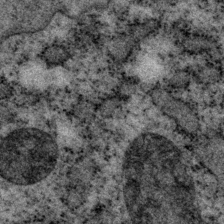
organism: P. pacificus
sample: Pharynx